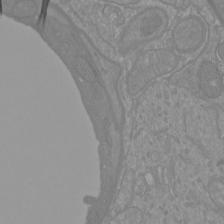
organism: Mouse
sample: Cortical neurons